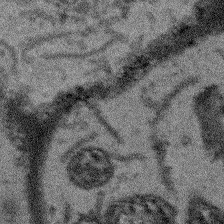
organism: Arabidopsis thaliana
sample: Root tip